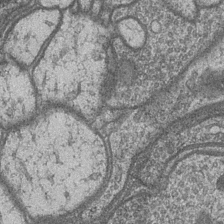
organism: Drosophila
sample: Optic medulla